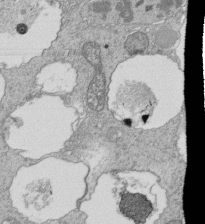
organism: Tetrahymena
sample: Cilia in tetrahymena